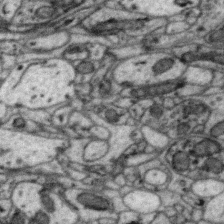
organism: Zebra finch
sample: Brain